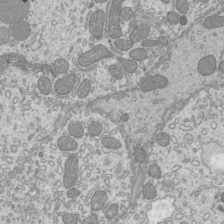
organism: Mouse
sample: Cilia; mouse epididymis